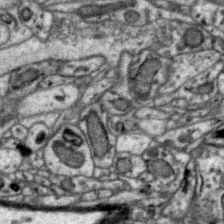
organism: Zebra finch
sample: Brain